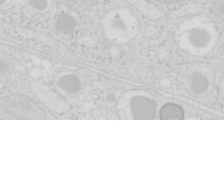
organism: Mouse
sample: Pancreas